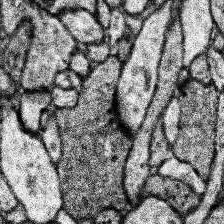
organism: Human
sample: Temporal Lobe